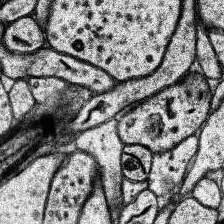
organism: Human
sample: Temporal Lobe